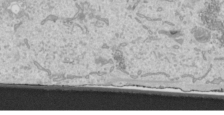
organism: Human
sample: Mitochondria in HCT116 cells